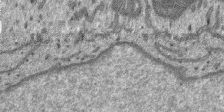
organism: Human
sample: Lung epithelial cells infected with SARS-CoV-2